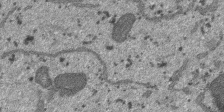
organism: Human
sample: Lung epithelial cells infected with SARS-CoV-2